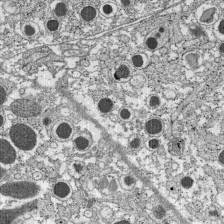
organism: C57BL Mouse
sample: Pancreatic islet